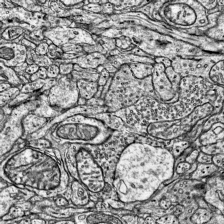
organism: Mouse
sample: Visual Cortex